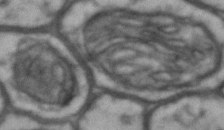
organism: Drosophila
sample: Brain